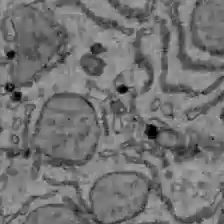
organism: C57BL Mouse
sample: Liver